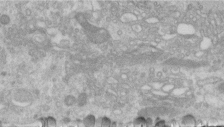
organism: Human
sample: Centriole in RPE cells